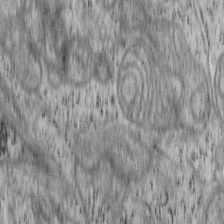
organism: Human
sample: HeLa cells